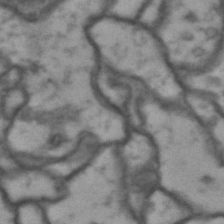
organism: Drosophila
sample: Brain